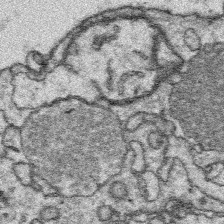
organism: Platynereis dumerilii